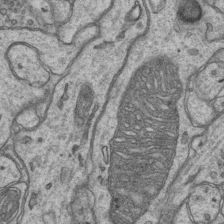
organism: Mouse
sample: CA1 Hippocampus